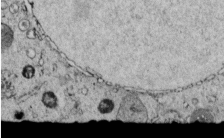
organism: C. elegans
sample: C. elegans embryo early stage